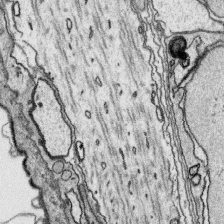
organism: Platynereis dumerilii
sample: Parapodia